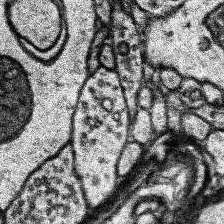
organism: Human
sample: Temporal Lobe